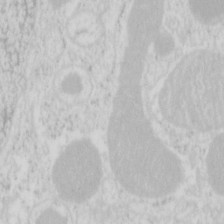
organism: Mouse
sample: Pancreas